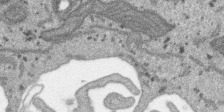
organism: Human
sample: Lung epithelial cells infected with SARS-CoV-2